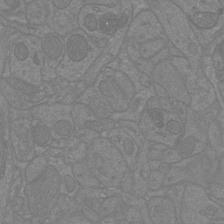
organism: Mouse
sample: Cortical neurons